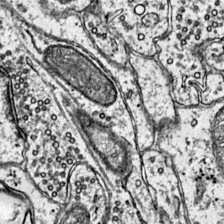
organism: Mouse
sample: Primary visual cortex